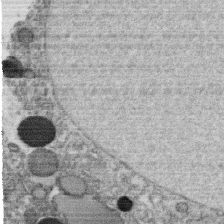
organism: C. elegans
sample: C. elegans oocyte; sperm cells